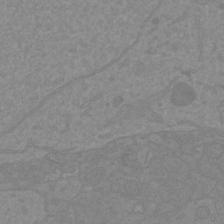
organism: Mouse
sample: Cortical neurons